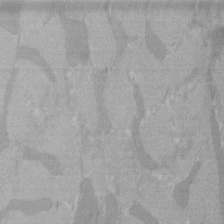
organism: C57BL Mouse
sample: Tibialis anterior muscle cell